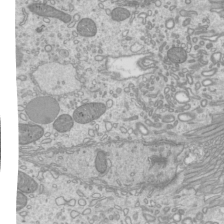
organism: Mouse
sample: Cilia; mouse epididymis